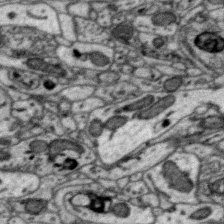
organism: Zebra finch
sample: Brain